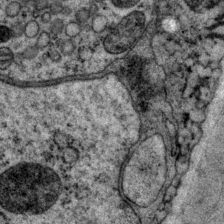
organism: P. pacificus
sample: Pharynx